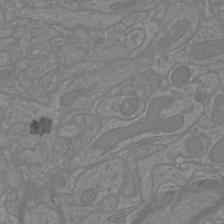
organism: Mouse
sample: Cortical neurons